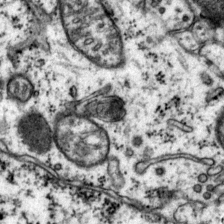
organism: Mouse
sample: Primary visual cortex